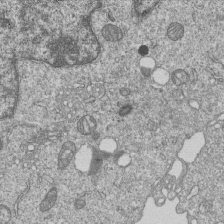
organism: Human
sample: MDA-MB-231 cells